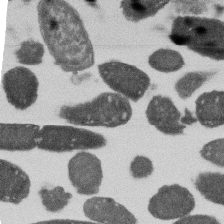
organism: E. coli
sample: Bacterial nucleoid